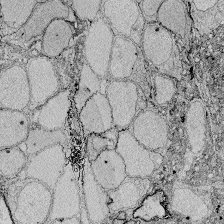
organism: Zebrafish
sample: Whole-Brain